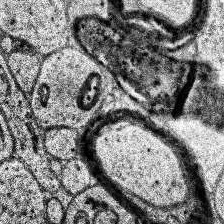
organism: Human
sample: Temporal Lobe